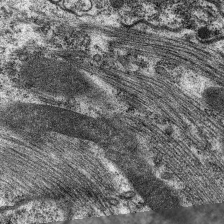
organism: C. elegans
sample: Pharynx